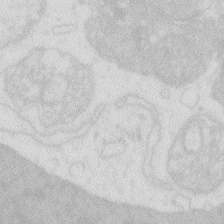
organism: Zebrafish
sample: Macrophage